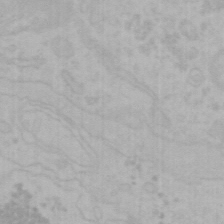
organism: Mouse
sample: Choroid plexus